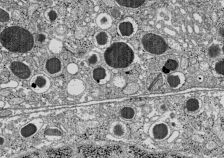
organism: C57BL Mouse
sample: Pancreatic islet